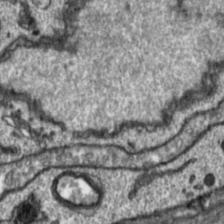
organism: Toxoplasma gondii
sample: Parasites in a vacuole inside a host cell